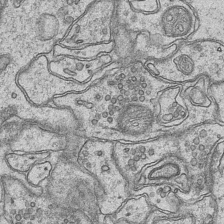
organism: Mouse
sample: CA1 Hippocampus